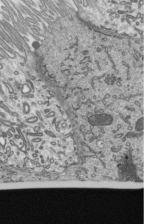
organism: Mouse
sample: Mouse epididymis efferent ductule cilia